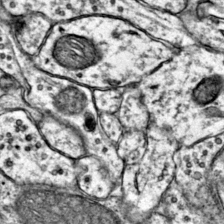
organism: Mouse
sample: Primary visual cortex